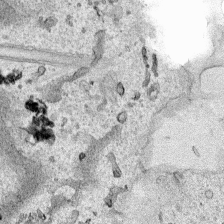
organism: Human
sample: Mitochondria in HCT116 cells